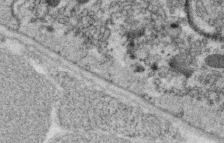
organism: C. elegans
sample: C. elegans oocyte; sperm cells